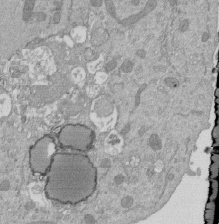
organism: Mouse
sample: ED-1 cell nuclei; centrioles